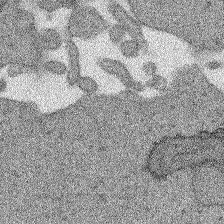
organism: Human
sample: HeLa cells